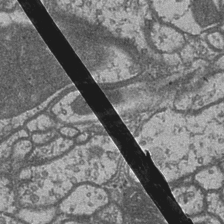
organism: Drosophila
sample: Optic medulla